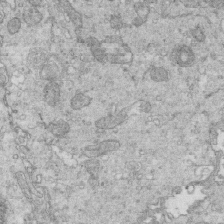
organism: Mouse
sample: Multiciliated cells